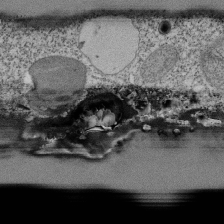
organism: Tetrahymena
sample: Cilia in tetrahymena